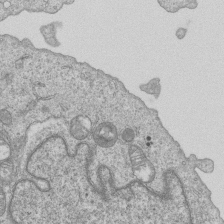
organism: Human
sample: MDA-MB-231 cells